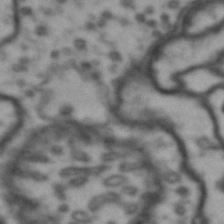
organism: Drosophila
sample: Brain